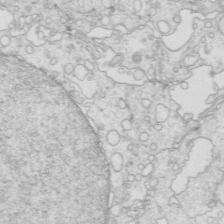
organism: Mouse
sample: Multiciliated cells